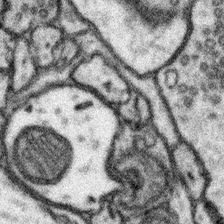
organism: Mouse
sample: Somatosensory cortex neuropil